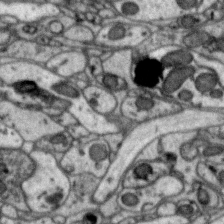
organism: Zebra finch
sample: Brain